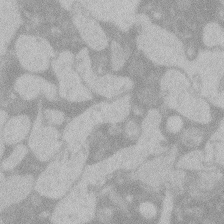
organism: Zebrafish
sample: Macrophage infected with Toxoplasma gondii